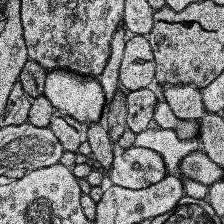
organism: Human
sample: Temporal Lobe